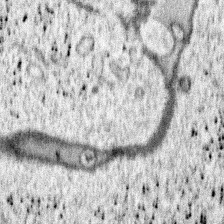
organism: Human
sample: HeLa cells